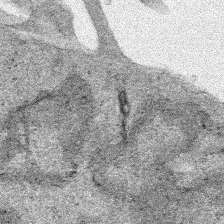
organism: Human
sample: Mitochondria in HCT116 cells